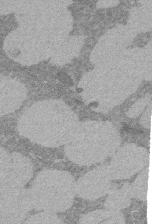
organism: Rat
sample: Salivary granule